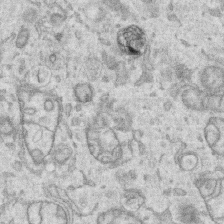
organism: Human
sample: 1205lu cells